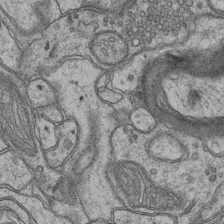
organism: Mouse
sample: CA1 Hippocampus